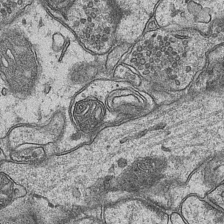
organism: Mouse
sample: CA1 Hippocampus